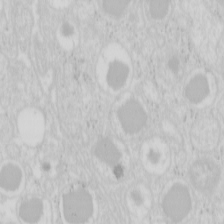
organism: Mouse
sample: Pancreas